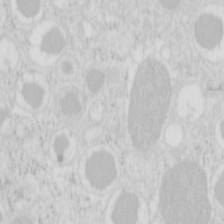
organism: Mouse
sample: Pancreas